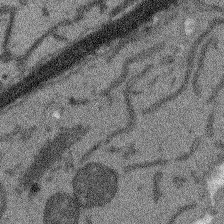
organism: Arabidopsis thaliana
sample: Root tip